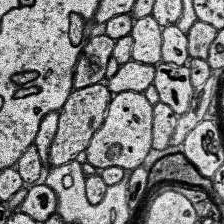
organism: Human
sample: Temporal Lobe